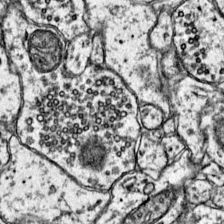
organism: Mouse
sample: Primary visual cortex